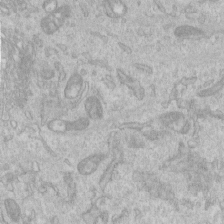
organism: Human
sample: Centriole in RPE cells